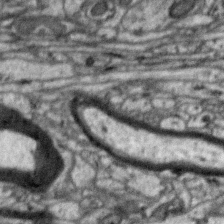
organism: Zebra finch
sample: Brain